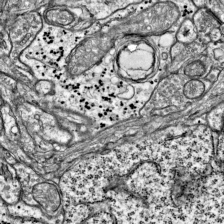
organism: Mouse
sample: Visual Cortex